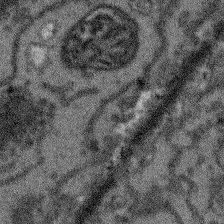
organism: Arabidopsis thaliana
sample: Root tip